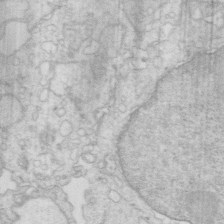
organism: Mouse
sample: Multiciliated cells